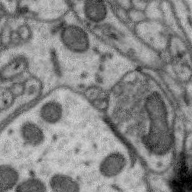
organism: Zebra finch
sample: Brain